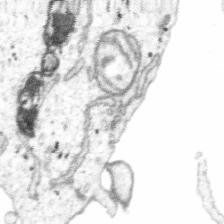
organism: Human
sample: HeLa cells